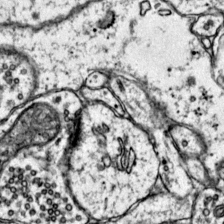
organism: Mouse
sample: Primary visual cortex